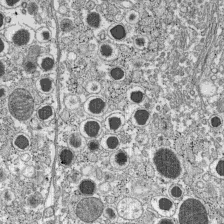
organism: C57BL Mouse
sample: Pancreatic islet